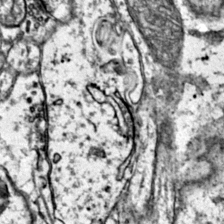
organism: Mouse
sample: Primary visual cortex